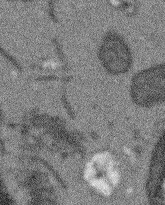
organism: Arabidopsis thaliana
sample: Root tip